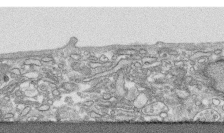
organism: Human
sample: CRL-1474